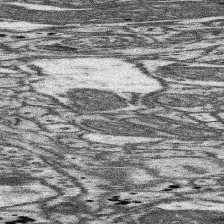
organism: Mouse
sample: Somatosensory cortex neuropil